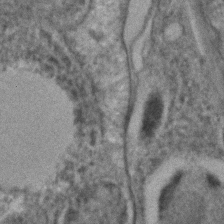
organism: C. elegans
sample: C. elegans embryo